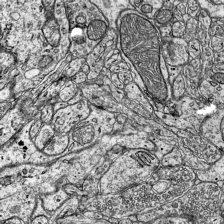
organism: Mouse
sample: Visual Cortex